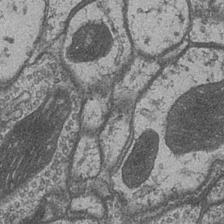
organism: Drosophila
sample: Optic medulla